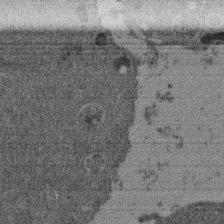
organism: Mouse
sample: Dividing mouse embryo 1 cell stage